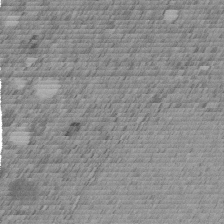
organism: C. elegans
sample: C. elegans embryo early stage